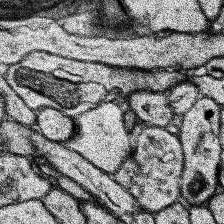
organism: Human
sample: Temporal Lobe